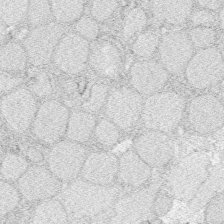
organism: Zebrafish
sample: Whole-Brain